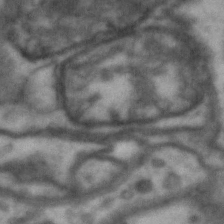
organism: Drosophila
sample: Brain